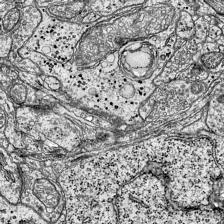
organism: Mouse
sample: Visual Cortex